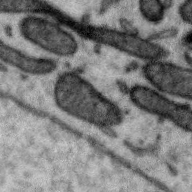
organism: Zebra finch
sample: Brain